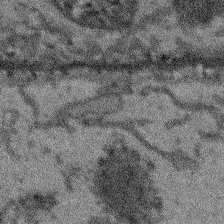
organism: Arabidopsis thaliana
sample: Root tip